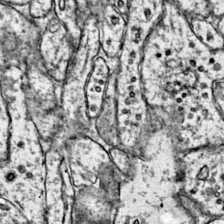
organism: Mouse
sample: Primary visual cortex